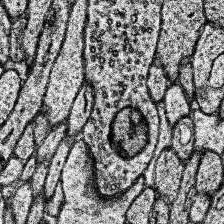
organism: Human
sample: Temporal Lobe